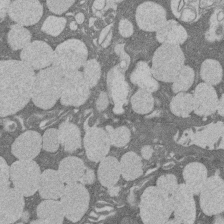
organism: Rat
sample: Salivary granule